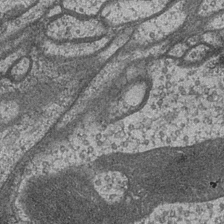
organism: Drosophila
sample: Optic medulla